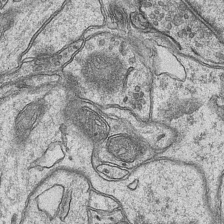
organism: Mouse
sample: CA1 Hippocampus